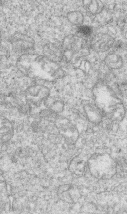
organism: Human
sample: HeLa cell HIV synapse